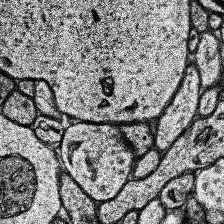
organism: Human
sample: Temporal Lobe